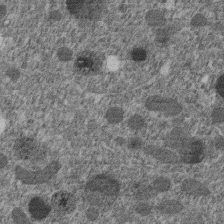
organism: C. elegans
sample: C. elegans embryo early stage